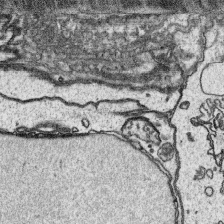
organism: Platynereis dumerilii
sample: Parapodia